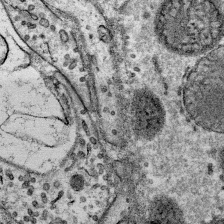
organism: Mouse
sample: Mouse Salivary gland